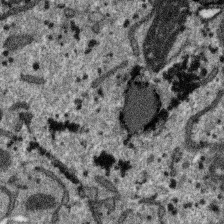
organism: Human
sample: Lung epithelial cells infected with SARS-CoV-2